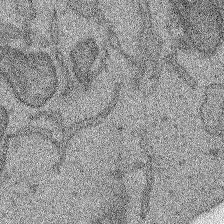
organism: Human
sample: HeLa cells